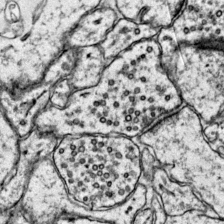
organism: Mouse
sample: Primary visual cortex